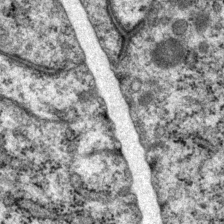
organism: P. pacificus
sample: Pharynx